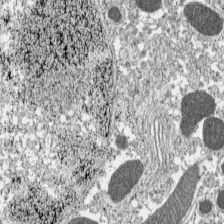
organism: C57BL Mouse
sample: Pancreatic islet